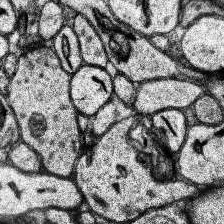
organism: Human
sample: Temporal Lobe